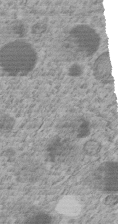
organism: C. elegans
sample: C. elegans embryo early stage